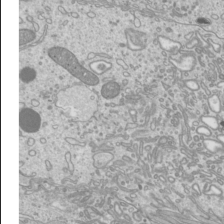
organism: Mouse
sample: Cilia; mouse epididymis